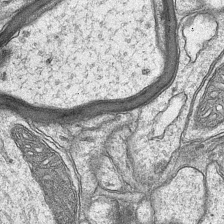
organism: Mouse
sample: CA1 Hippocampus